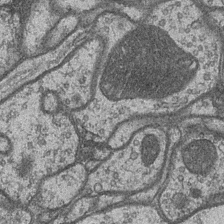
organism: Drosophila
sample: Optic medulla